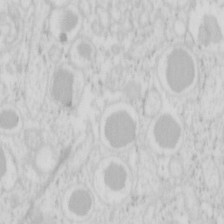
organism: Mouse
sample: Pancreas